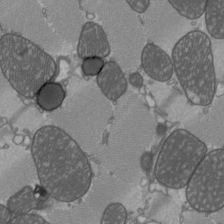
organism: C57BL Mouse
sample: Heart